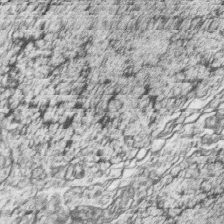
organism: Zebrafish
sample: synaptic ribbons in rod cells and cone cells